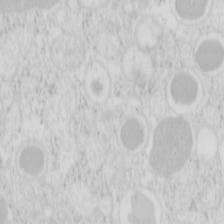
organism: Mouse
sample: Pancreas